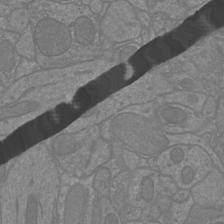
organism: Mouse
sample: Cortical neurons